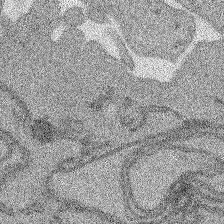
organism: Human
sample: HeLa cells